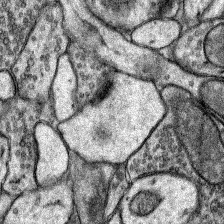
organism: Rat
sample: Hippocampus